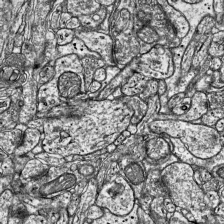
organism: Mouse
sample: Visual Cortex